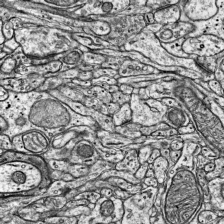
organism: Mouse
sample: Visual Cortex